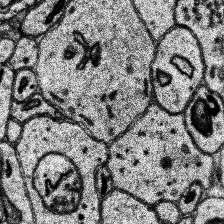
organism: Human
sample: Temporal Lobe